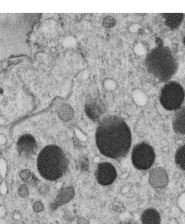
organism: C. elegans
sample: C. elegans oocyte; sperm cells